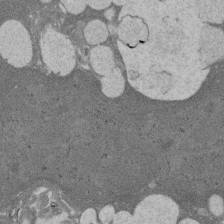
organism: Rat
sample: Salivary granule